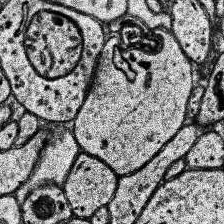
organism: Human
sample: Temporal Lobe